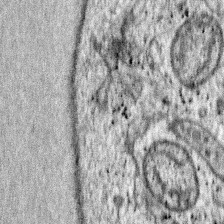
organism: Human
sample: HeLa cells